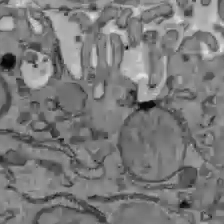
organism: C57BL Mouse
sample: Liver